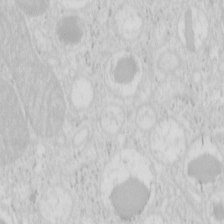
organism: Mouse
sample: Pancreas